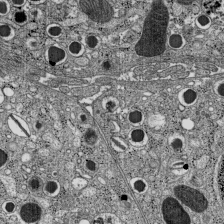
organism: C57BL Mouse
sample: Pancreatic islet